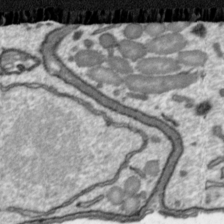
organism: Toxoplasma gondii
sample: Parasites in a vacuole inside a host cell